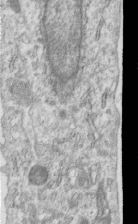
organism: Human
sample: Centriole in RPE cells